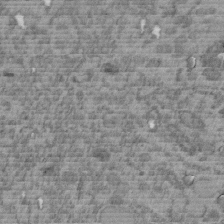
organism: C. elegans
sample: C. elegans embryo early stage